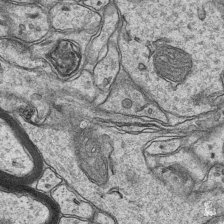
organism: Mouse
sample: CA1 Hippocampus